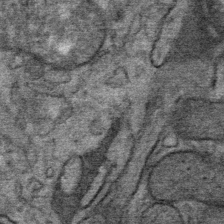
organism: Mouse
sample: Mouse Salivary gland